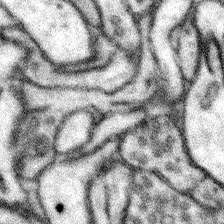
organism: Mouse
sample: Somatosensory cortex neuropil